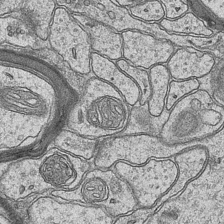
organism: Mouse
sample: CA1 Hippocampus